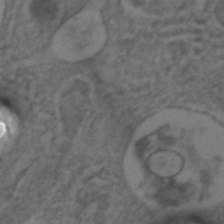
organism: C. elegans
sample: C. elegans embryo